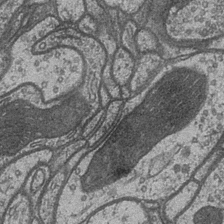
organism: Drosophila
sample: Optic medulla